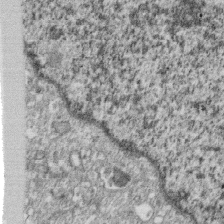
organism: African green monkey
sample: Vero E6 cells infected with SARS-CoV-2